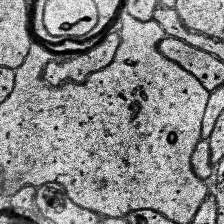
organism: Human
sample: Temporal Lobe